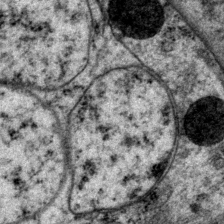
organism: P. pacificus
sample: Pharynx